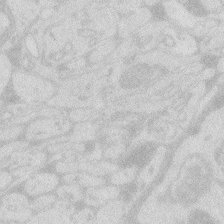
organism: Zebrafish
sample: Macrophage